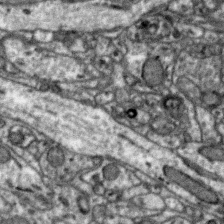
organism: Zebra finch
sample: Brain